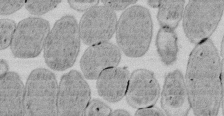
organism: E. coli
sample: Bacterial nucleoid